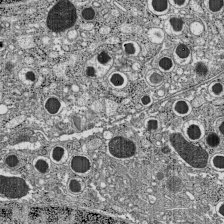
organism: C57BL Mouse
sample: Pancreatic islet